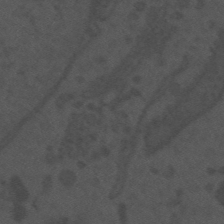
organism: Mouse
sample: Suprachiasmatic nucleus